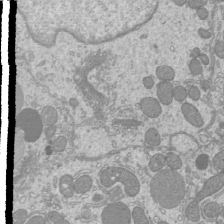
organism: Mouse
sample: Cilia; mouse epididymis